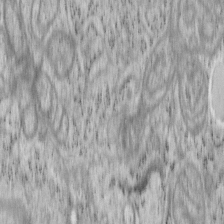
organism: Human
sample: HeLa cells